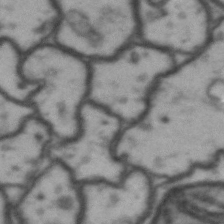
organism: Drosophila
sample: Brain